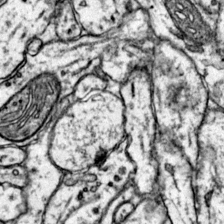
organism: Mouse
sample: Primary visual cortex